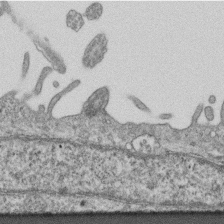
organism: Mouse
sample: Centriole in ependymal cells